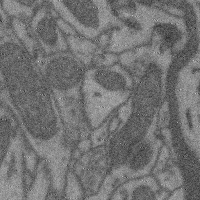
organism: Mouse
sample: Cerebral cortex